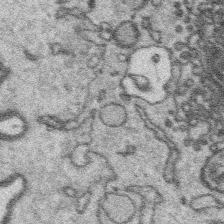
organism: Platynereis dumerilii